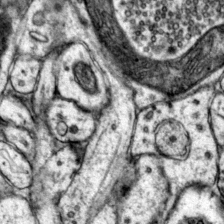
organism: Mouse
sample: Primary visual cortex